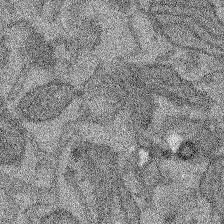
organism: Human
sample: HeLa cells